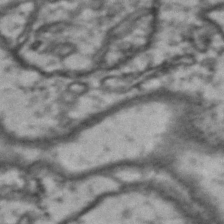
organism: Drosophila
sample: Brain